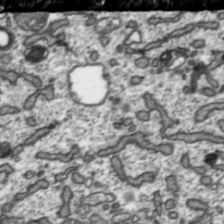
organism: Toxoplasma gondii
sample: Parasites in a vacuole inside a host cell